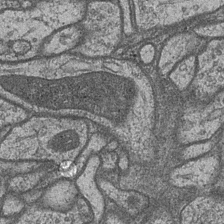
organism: Drosophila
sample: Optic medulla